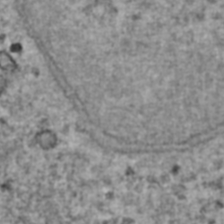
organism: Human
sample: Blood